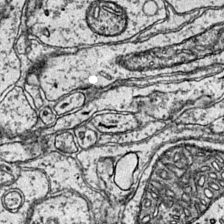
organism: Mouse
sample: Primary visual cortex